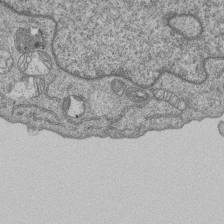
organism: Human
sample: MDA-MB-231 cells